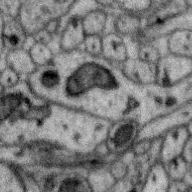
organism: Zebra finch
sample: Brain